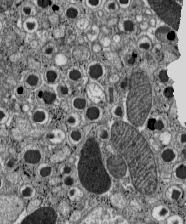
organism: C57BL Mouse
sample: Pancreatic islet